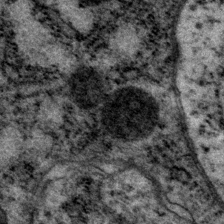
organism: P. pacificus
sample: Pharynx